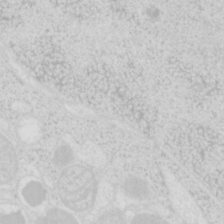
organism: Mouse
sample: Pancreas